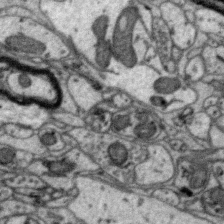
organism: Zebra finch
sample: Brain